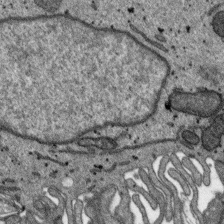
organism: Human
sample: Lung epithelial cells, uninfected (mock) control